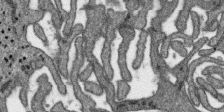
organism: Human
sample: Lung epithelial cells, uninfected (mock) control